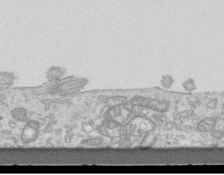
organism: Mouse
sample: Centriole in ependymal cells